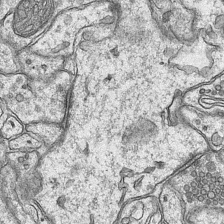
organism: Mouse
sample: CA1 Hippocampus